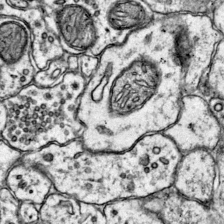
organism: Mouse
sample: Primary visual cortex